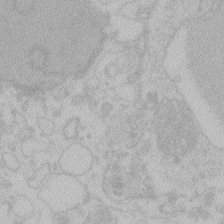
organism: Zebrafish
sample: Macrophage infected with Toxoplasma gondii